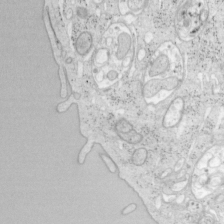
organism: Mouse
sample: OT-I killer T cells with ID8 ovarian cancer cells